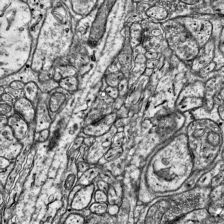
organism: Mouse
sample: Visual Cortex